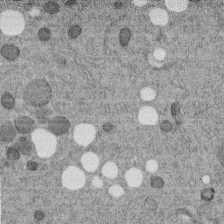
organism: C. elegans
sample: C. elegans embryo early stage